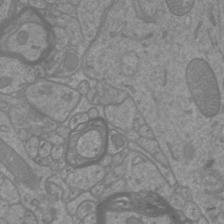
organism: Mouse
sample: Cortical neurons